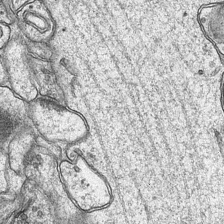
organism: Mouse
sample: CA1 Hippocampus